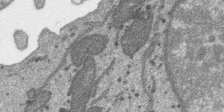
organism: Human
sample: Lung epithelial cells infected with SARS-CoV-2